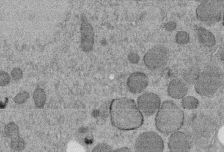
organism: C. elegans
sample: C. elegans embryo early stage